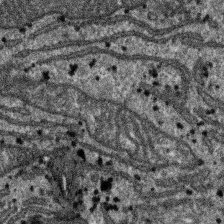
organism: Human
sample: Lung epithelial cells infected with SARS-CoV-2